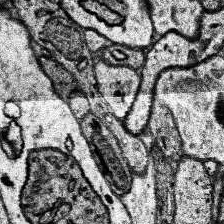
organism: Human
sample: Temporal Lobe